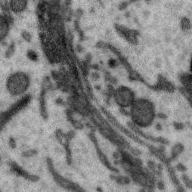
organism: Zebra finch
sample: Brain